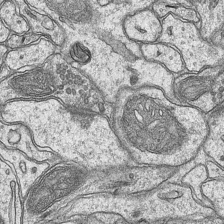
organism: Mouse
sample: CA1 Hippocampus